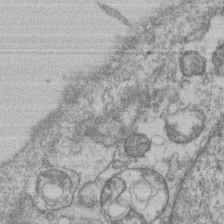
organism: Mouse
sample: T cell stromal cell synapse